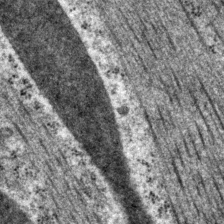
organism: P. pacificus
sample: Pharynx